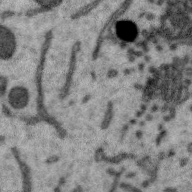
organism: Zebra finch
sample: Brain